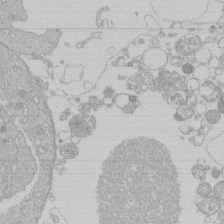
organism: Human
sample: Macrophage cells